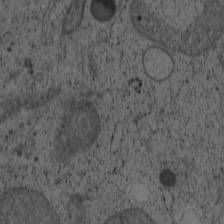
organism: African green monkey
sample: COS-7 cells